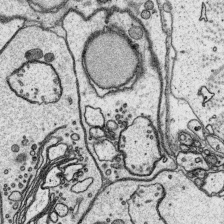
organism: Platynereis dumerilii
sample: Parapodia